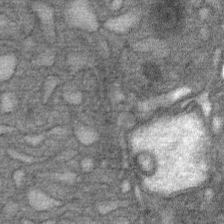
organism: Mouse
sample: Mouse Salivary gland